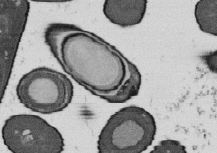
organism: B. subtilis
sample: Bacterial spore